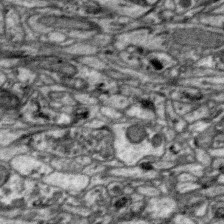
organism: Zebra finch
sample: Brain